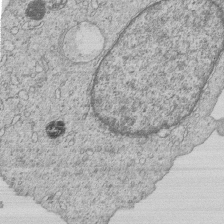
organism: Human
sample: MDA-MB-231 cells